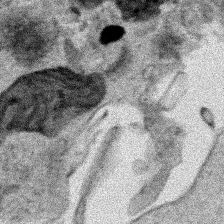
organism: Human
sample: Mitochondria in HCT116 cells